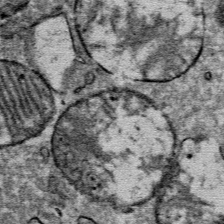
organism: Mouse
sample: Mouse Salivary gland